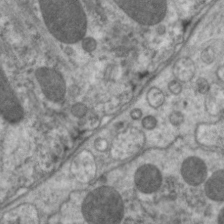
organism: C. elegans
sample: Pharynx